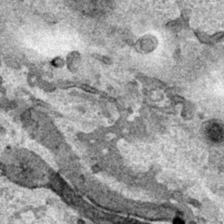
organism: Human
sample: Mitochondria in HCT116 cells